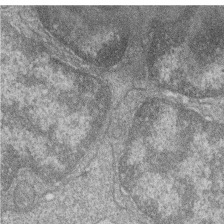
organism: Zebrafish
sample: Cilia; retinal pigment epithelium